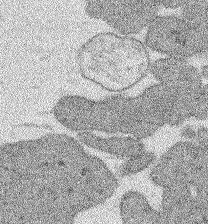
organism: Human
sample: HeLa cells